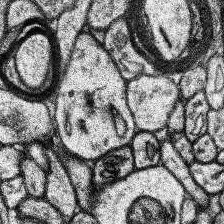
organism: Human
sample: Temporal Lobe